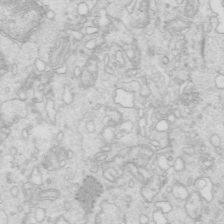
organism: Mouse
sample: Multiciliated cells